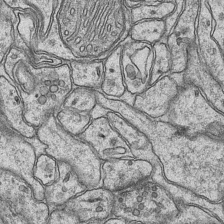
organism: Mouse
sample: CA1 Hippocampus